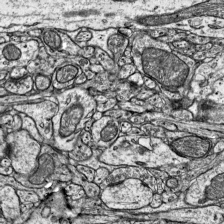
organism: Mouse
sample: Visual Cortex